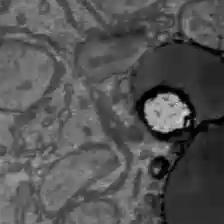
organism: C57BL Mouse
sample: Liver